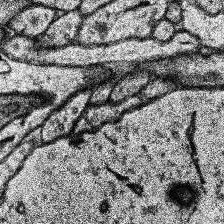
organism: Human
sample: Temporal Lobe